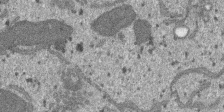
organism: Human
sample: Lung epithelial cells infected with SARS-CoV-2